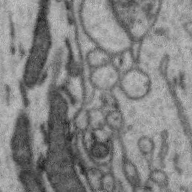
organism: Zebra finch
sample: Brain